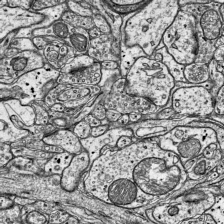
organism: Mouse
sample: Visual Cortex